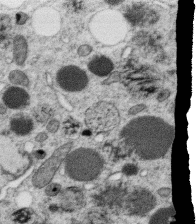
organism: C. elegans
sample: C. elegans oocyte; sperm cells